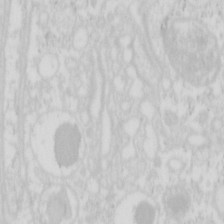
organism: Mouse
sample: Pancreas